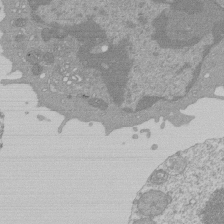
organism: Mouse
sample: Activated Pmel transgenic CD8+ T Cells